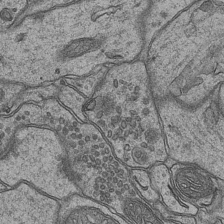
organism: Mouse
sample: CA1 Hippocampus